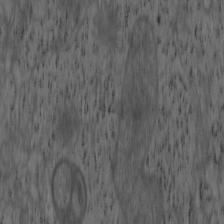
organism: Human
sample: HeLa cells